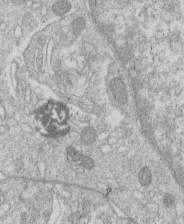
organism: Human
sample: Macrophage cells